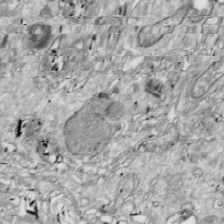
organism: Drosophila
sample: Cell division; meiosis; drosophila spermatocytes